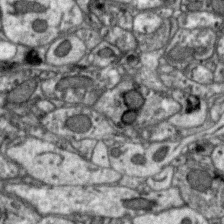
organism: Zebra finch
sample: Brain